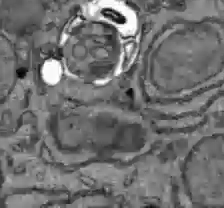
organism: C57BL Mouse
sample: Liver